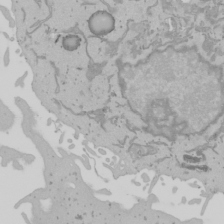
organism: Mouse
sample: Cancer cell death in ED-1 cells